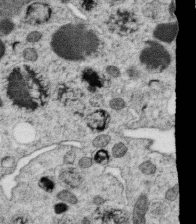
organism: C. elegans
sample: C. elegans oocyte; sperm cells